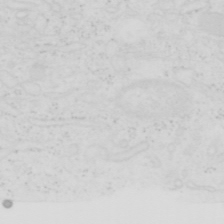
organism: Human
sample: SUM-159 cell